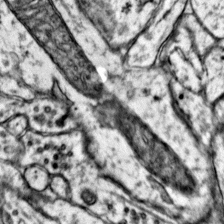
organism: Mouse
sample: Primary visual cortex